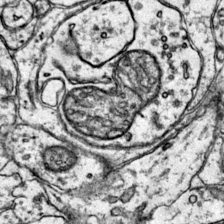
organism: Mouse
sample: Primary visual cortex